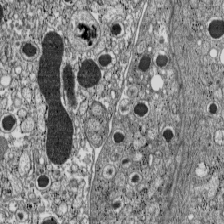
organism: C57BL Mouse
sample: Pancreatic islet